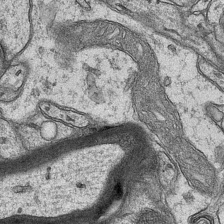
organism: Mouse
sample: CA1 Hippocampus